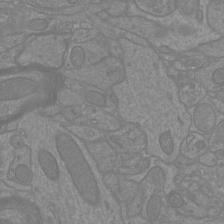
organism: Mouse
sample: Cortical neurons